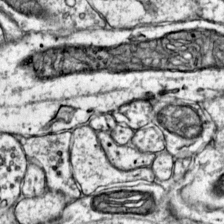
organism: Mouse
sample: Primary visual cortex